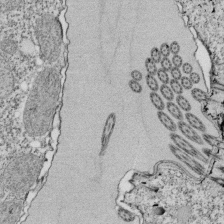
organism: Tetrahymena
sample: Cilia in tetrahymena